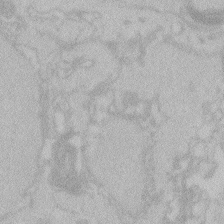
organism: Zebrafish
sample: Macrophage infected with Toxoplasma gondii